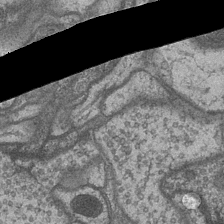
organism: Drosophila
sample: Optic medulla